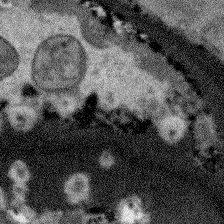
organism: Arabidopsis thaliana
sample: Root tip